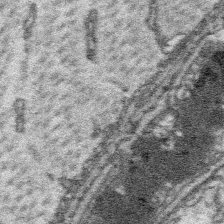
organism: Platynereis dumerilii